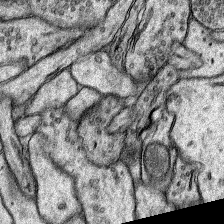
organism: Rat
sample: Hippocampus